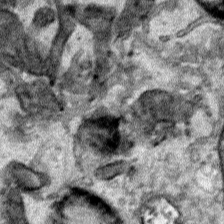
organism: Human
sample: Mitochondria in HCT116 cells